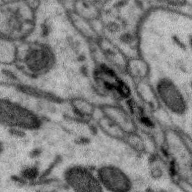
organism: Zebra finch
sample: Brain